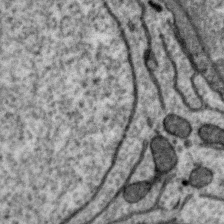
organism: Zebra finch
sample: Brain